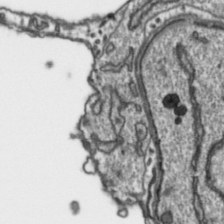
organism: Toxoplasma gondii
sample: Parasites in a vacuole inside a host cell